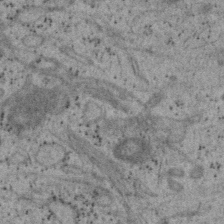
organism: Human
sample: HeLa cells